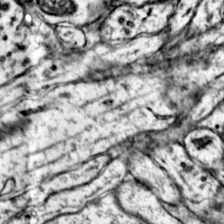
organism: Mouse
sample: Primary visual cortex